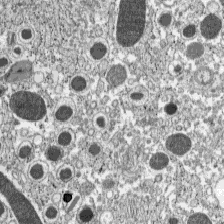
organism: C57BL Mouse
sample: Pancreatic islet